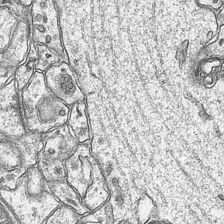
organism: Mouse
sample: CA1 Hippocampus